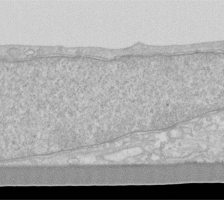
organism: Human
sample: Fibroblast cells